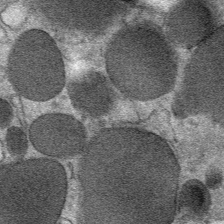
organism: Mouse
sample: Mouse Salivary gland